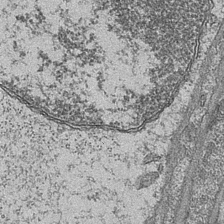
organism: Mouse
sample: CA1 Hippocampus